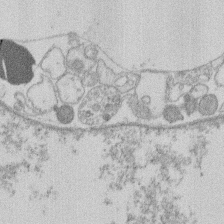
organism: Human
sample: Macrophage cells